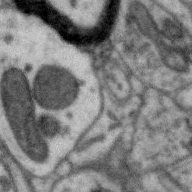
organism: Zebra finch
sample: Brain